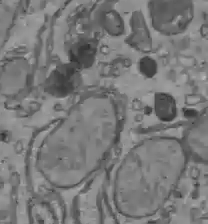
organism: C57BL Mouse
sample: Liver